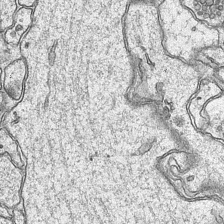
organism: Mouse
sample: CA1 Hippocampus